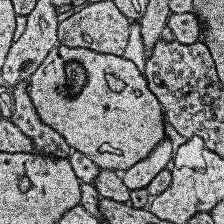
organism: Human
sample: Temporal Lobe